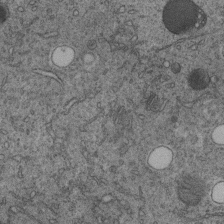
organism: C. elegans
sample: C. elegans embryo early stage